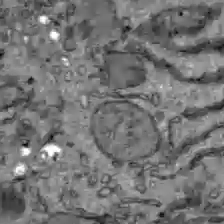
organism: C57BL Mouse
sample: Liver